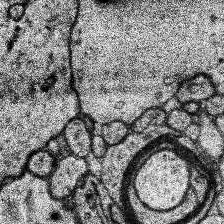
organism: Human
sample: Temporal Lobe